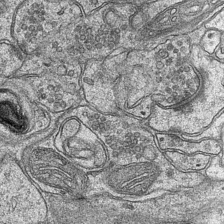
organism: Mouse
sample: CA1 Hippocampus